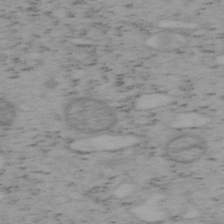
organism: Mouse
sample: OT-I killer T cells with ID8 ovarian cancer cells